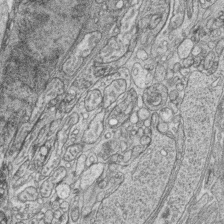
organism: Zebrafish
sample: synaptic ribbons in rod cells and cone cells